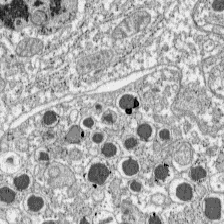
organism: C57BL Mouse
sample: Pancreatic islet